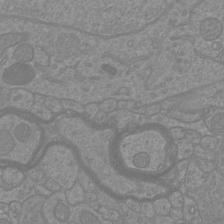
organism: Mouse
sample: Cortical neurons